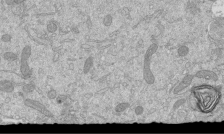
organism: Mouse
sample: ED-1 cell nuclei; centrioles